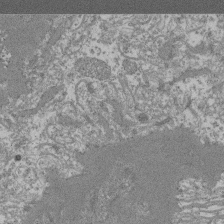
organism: Mouse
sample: Glomerulus